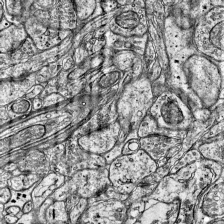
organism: Mouse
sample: Visual Cortex